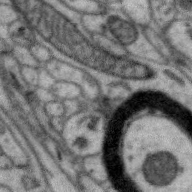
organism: Zebra finch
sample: Brain